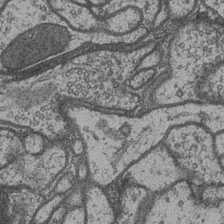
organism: Drosophila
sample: Optic medulla